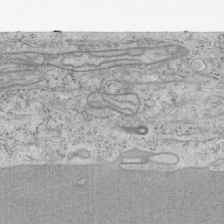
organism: Human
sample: HeLa cells